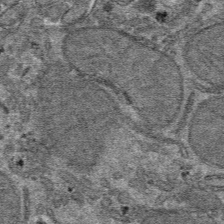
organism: Mouse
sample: Mouse hepatocytes